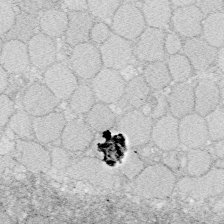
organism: Zebrafish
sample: Whole-Brain